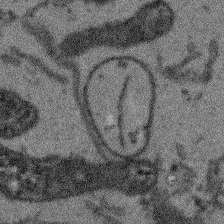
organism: Arabidopsis thaliana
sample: Root tip